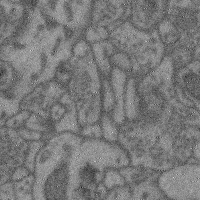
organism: Mouse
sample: Cerebral cortex